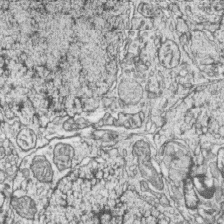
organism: Zebrafish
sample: synaptic ribbons in rod cells and cone cells